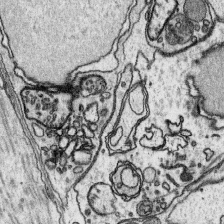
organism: Platynereis dumerilii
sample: Parapodia